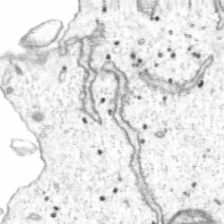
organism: Human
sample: HeLa cells